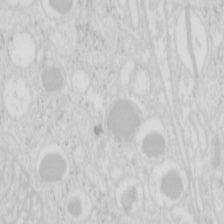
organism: Mouse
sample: Pancreas